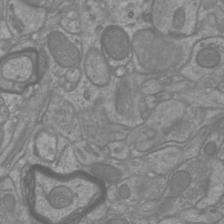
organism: Mouse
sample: Cortical neurons